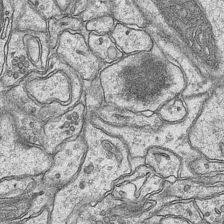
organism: Mouse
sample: CA1 Hippocampus